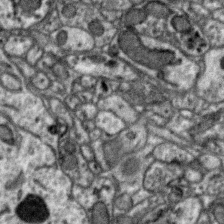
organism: Zebra finch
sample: Brain